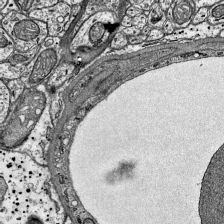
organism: Mouse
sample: Visual Cortex